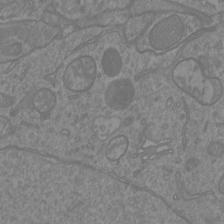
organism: Mouse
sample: Cortical neurons